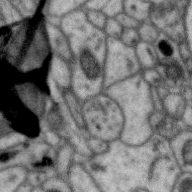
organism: Zebra finch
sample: Brain